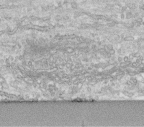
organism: Human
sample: Centriole in fibroblast cells